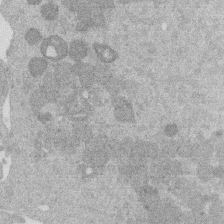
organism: Mouse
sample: Dividing mouse embryo 1 cell stage